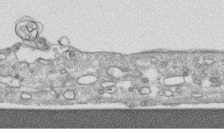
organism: Human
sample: CRL-1474